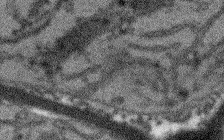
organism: Arabidopsis thaliana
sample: Root tip